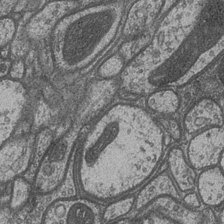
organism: Drosophila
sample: Optic medulla